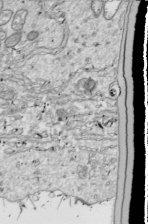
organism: Drosophila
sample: Cell division; meiosis; drosophila spermatocytes